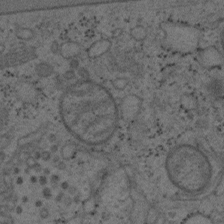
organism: Human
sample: HeLa cells